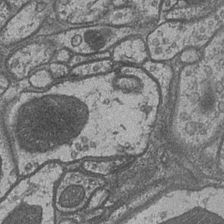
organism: Drosophila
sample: Optic medulla